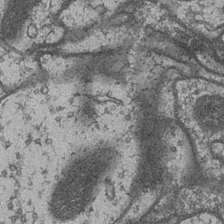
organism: Drosophila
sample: Optic medulla